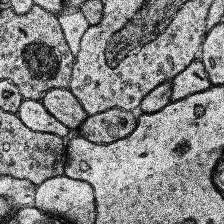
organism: Human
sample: Temporal Lobe